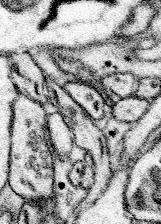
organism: Mouse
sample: Somatosensory cortex neuropil